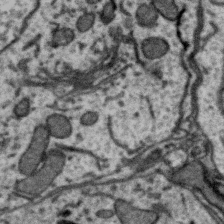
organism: Zebra finch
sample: Brain